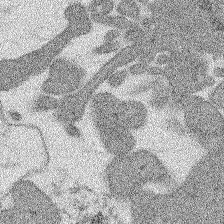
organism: Human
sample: HeLa cells